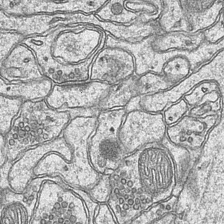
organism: Mouse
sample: CA1 Hippocampus